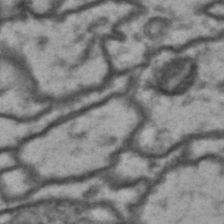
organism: Drosophila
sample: Brain